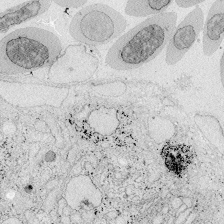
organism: Zebrafish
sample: Whole-Brain